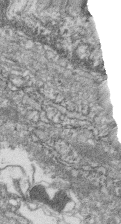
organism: Zebrafish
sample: Cilia; retinal pigment epithelium